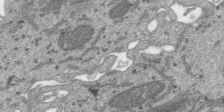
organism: Human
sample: Lung epithelial cells infected with SARS-CoV-2